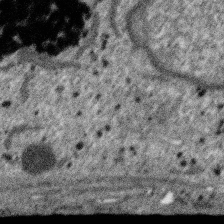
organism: Human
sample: Lung epithelial cells infected with SARS-CoV-2